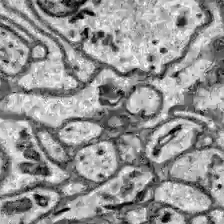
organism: Zebrafish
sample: Brain